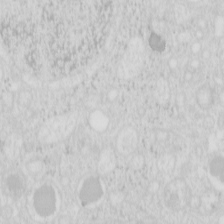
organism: Mouse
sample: Pancreas